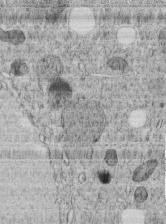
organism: C. elegans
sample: C. elegans embryo early stage